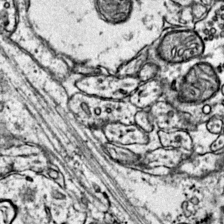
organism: Mouse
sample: Primary visual cortex